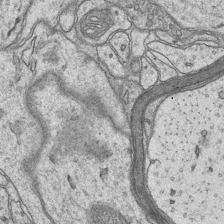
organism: Mouse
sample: CA1 Hippocampus